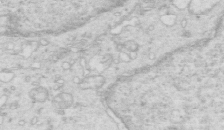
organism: Mouse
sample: Multiciliated cells